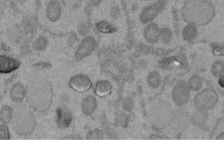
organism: C. elegans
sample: C. elegans embryo early stage